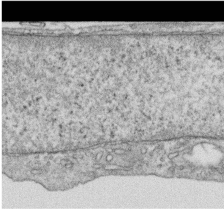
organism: Human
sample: Centriole in RPE cells